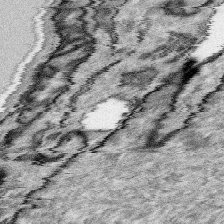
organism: Human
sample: HeLa cells